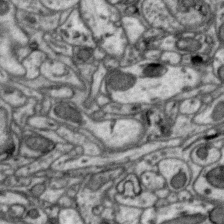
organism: Zebra finch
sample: Brain